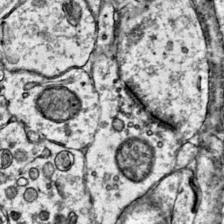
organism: Mouse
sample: Primary visual cortex